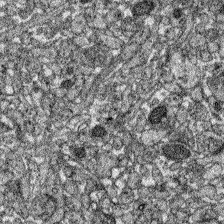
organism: Zebrafish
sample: Larval olfactory bulb